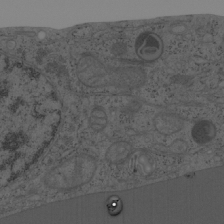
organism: Human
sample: HeLa cells